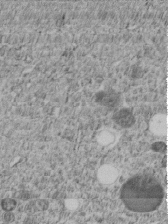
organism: C. elegans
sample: C. elegans embryo early stage